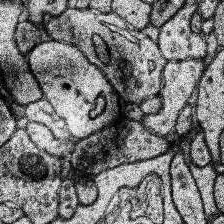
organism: Human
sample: Temporal Lobe